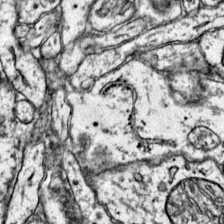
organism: Mouse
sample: Primary visual cortex